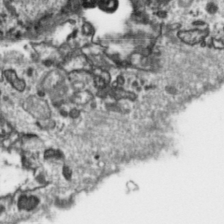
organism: Toxoplasma gondii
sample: Parasites in a vacuole inside a host cell